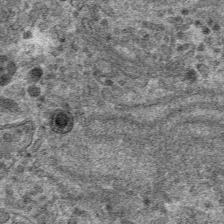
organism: Mouse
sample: Mouse hepatocytes